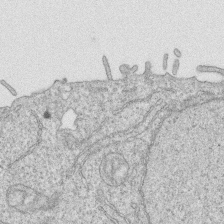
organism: Human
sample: HeLa cell HIV synapse